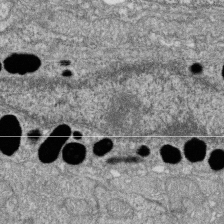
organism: Zebrafish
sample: Cilia; retinal pigment epithelium